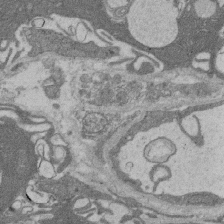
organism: Rat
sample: Salivary granule